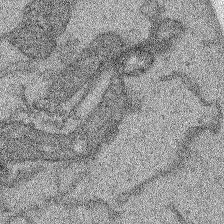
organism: Human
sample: HeLa cells